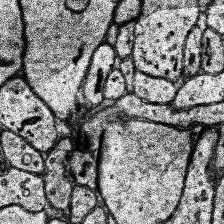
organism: Human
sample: Temporal Lobe